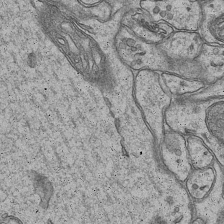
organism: Mouse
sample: CA1 Hippocampus